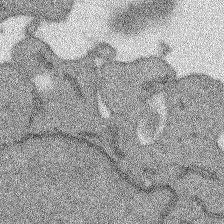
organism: Human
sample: HeLa cells